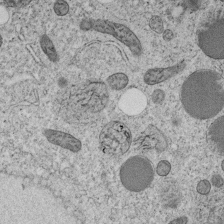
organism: C. elegans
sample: C. elegans embryo early stage